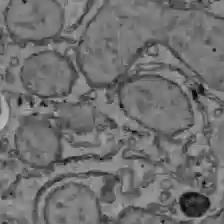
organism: C57BL Mouse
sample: Liver